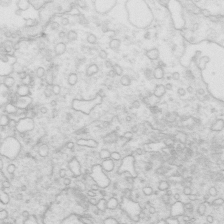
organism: Mouse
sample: Multiciliated cells